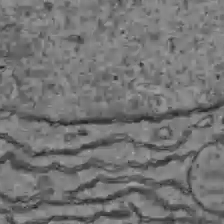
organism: C57BL Mouse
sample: Liver